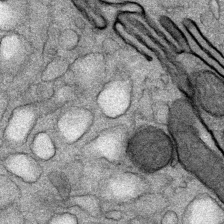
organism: Mouse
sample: Mouse Salivary gland